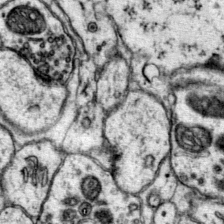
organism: Mouse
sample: Primary visual cortex